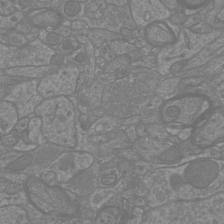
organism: Mouse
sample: Cortical neurons